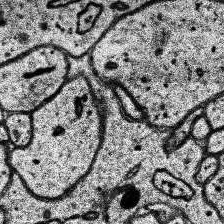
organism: Human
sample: Temporal Lobe